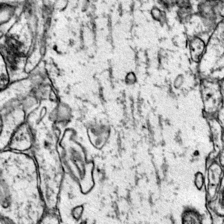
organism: Mouse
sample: Primary visual cortex